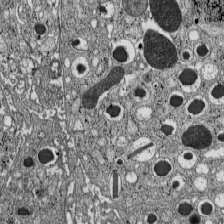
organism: C57BL Mouse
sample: Pancreatic islet